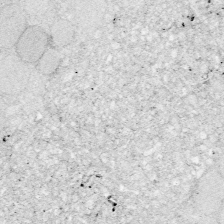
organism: Zebrafish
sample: Whole-Brain